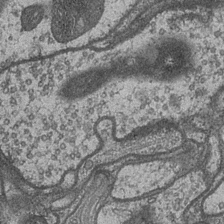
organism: Drosophila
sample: Optic medulla